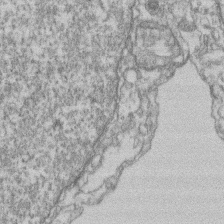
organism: Mouse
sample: T cell stromal cell synapse